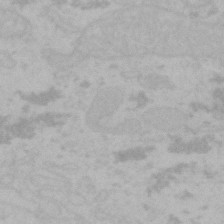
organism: Mouse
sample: Choroid plexus